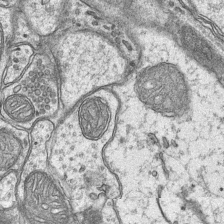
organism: Mouse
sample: CA1 Hippocampus